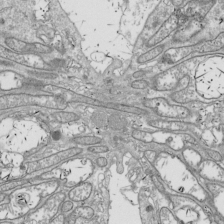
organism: Drosophila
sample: Cell division; meiosis; drosophila spermatocytes